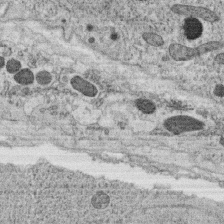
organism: C. elegans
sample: C. elegans oocyte; sperm cells